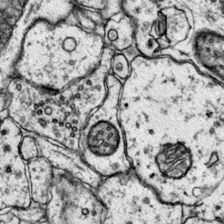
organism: Mouse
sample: Primary visual cortex